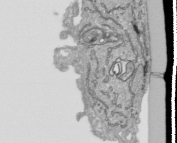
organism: Human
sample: Mitochondria in HCT116 cells